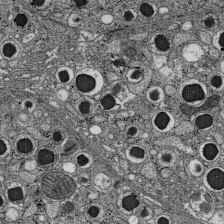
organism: C57BL Mouse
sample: Pancreatic islet